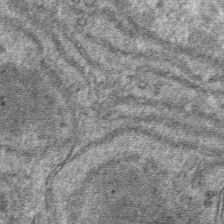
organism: Mouse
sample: Mouse hepatocytes